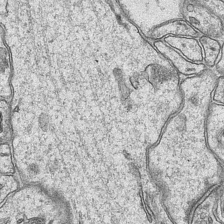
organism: Mouse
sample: CA1 Hippocampus